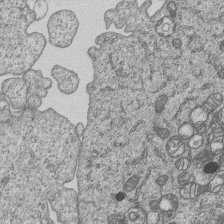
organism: Human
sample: MDA-MB-231 cells